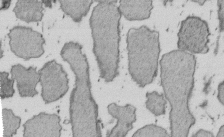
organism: E. coli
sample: Bacterial nucleoid